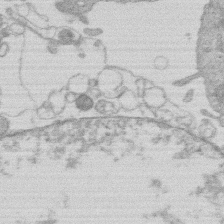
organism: Human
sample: Macrophage cells